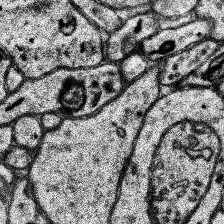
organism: Human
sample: Temporal Lobe